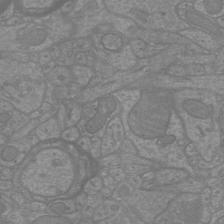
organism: Mouse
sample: Cortical neurons